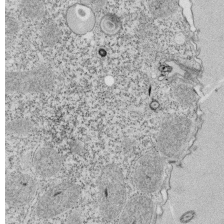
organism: Tetrahymena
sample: Cilia in tetrahymena